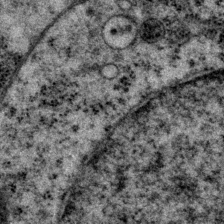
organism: P. pacificus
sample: Pharynx